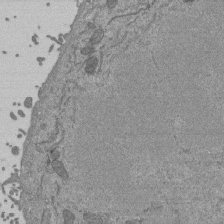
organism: Mouse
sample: ED-1 cell nuclei; centrioles